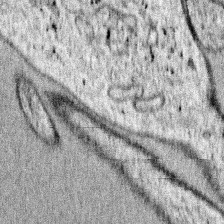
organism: Human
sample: HeLa cells